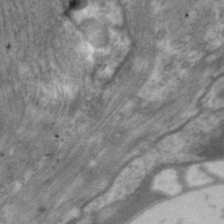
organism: C. elegans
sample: Pharynx